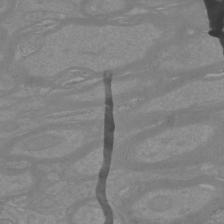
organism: Mouse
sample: Cortical neurons